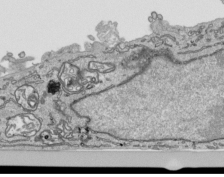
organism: Human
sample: Mitochondria in HCT116 cells